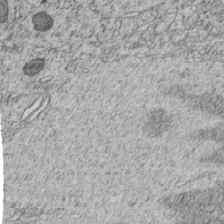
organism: C. elegans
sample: C. elegans embryo early stage